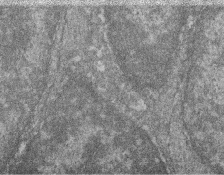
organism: Zebrafish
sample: Cilia; retinal pigment epithelium